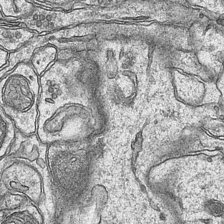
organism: Mouse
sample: CA1 Hippocampus